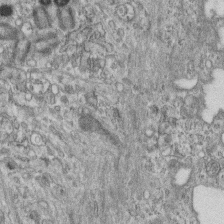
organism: Mouse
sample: Centriole in ependymal cells